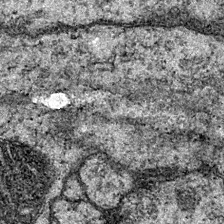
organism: Drosophila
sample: Ventral Nerve Cord